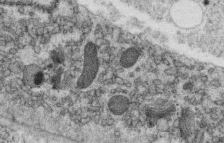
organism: C. elegans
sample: C. elegans oocyte; sperm cells